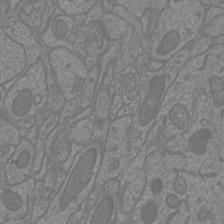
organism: Mouse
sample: Cortical neurons